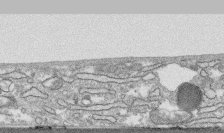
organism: Human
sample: CRL-1474